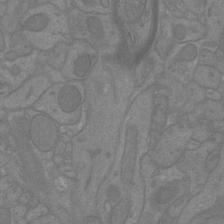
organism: Mouse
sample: Cortical neurons